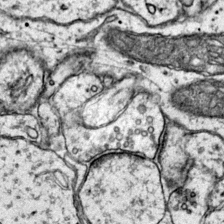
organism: Mouse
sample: Primary visual cortex